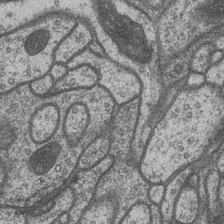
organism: Drosophila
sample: Optic medulla